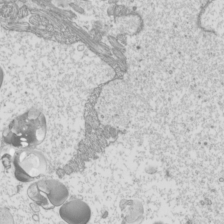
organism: Mouse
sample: Cilia; mouse epididymis